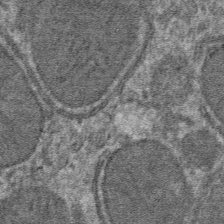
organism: Mouse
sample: Mouse hepatocytes